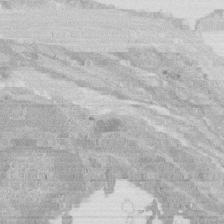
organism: Rat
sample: Salivary granule